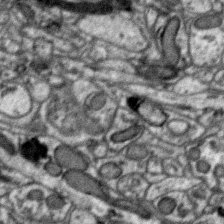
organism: Zebra finch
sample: Brain